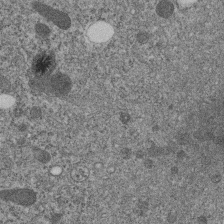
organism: C. elegans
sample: C. elegans embryo early stage